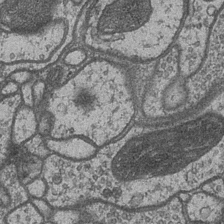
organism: Drosophila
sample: Optic medulla